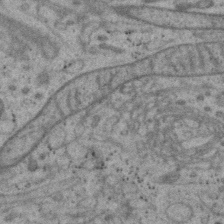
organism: Human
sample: HeLa cells